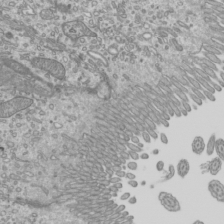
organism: Mouse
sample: Cilia; mouse epididymis